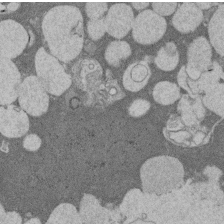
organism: Rat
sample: Salivary granule